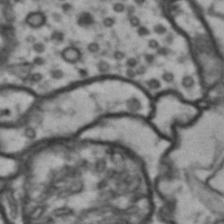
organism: Drosophila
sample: Brain